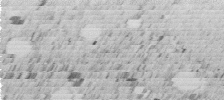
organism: C. elegans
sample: C. elegans embryo early stage